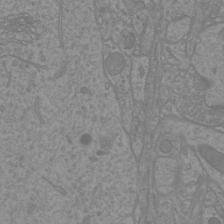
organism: Mouse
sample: Cortical neurons